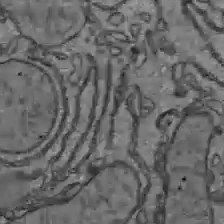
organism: C57BL Mouse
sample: Liver